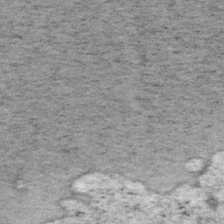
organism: Mouse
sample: OT-I killer T cells with ID8 ovarian cancer cells